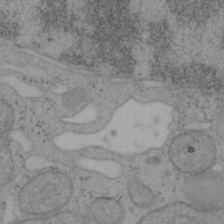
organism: Mouse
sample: OT-I killer T cells with ID8 ovarian cancer cells